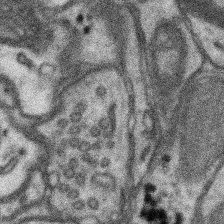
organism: Mouse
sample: Somatosensory cortex neuropil